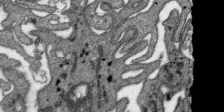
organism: Human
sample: Lung epithelial cells, uninfected (mock) control